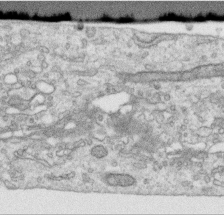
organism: Human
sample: Centriole in RPE cells